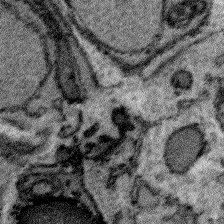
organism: Plasmodium falciparum